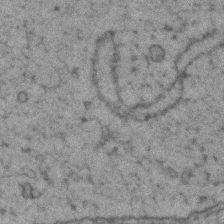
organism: Zebrafish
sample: Zebrafish embryo